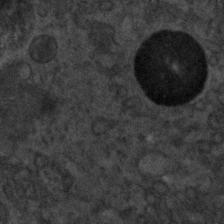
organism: C. elegans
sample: C. elegans embryo